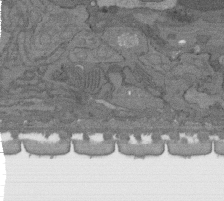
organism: C. elegans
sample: AFD neurons C. elegans